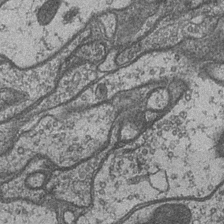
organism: Drosophila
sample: Optic medulla